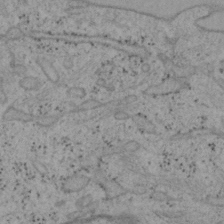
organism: Human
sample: HeLa cells